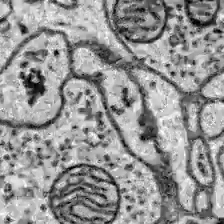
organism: Zebrafish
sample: Brain